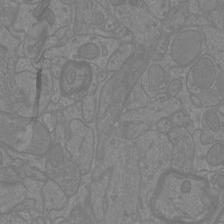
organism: Mouse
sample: Cortical neurons